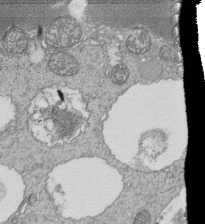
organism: Tetrahymena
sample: Cilia in tetrahymena